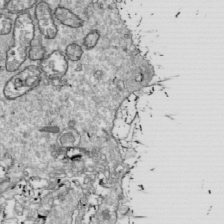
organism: Drosophila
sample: Cell division; meiosis; drosophila spermatocytes